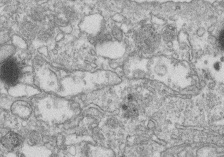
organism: Human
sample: HeLa cell HIV synapse